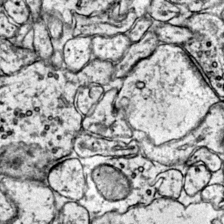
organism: Mouse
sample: Primary visual cortex